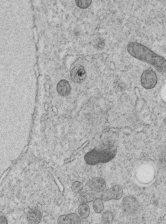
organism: C. elegans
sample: C. elegans embryo early stage